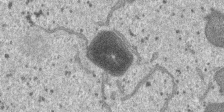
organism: Human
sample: Lung epithelial cells infected with SARS-CoV-2